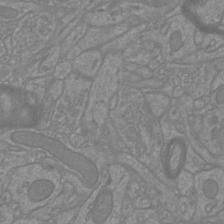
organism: Mouse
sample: Cortical neurons